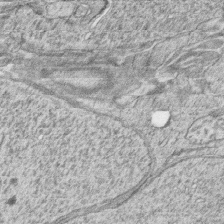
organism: Zebrafish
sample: synaptic ribbons in rod cells and cone cells